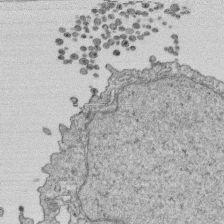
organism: Human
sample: HeLa cell HIV synapse